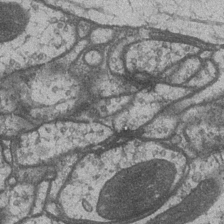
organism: Drosophila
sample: Optic medulla